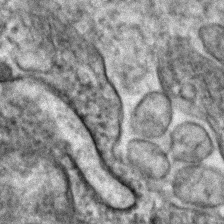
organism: Human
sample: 1205lu cells